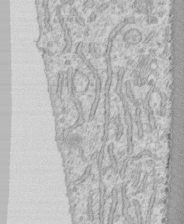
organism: Human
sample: CRL-1474